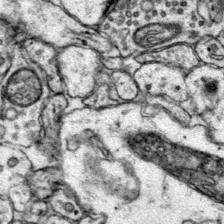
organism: Mouse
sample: Primary visual cortex